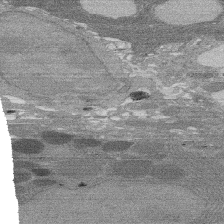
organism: Rat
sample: Salivary granule